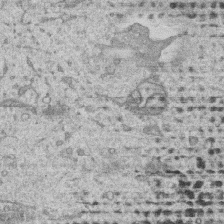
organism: Human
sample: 1205lu cells